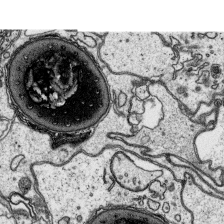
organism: Platynereis dumerilii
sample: Parapodia